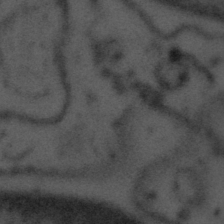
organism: Tuwongella immobilis